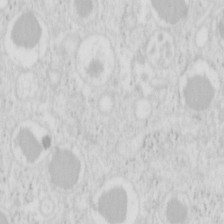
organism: Mouse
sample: Pancreas